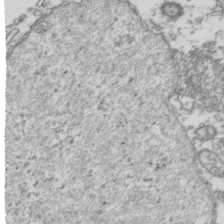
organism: Human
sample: Activated Jurkat CD4+ T cells